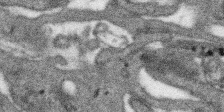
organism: Human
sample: Lung epithelial cells infected with SARS-CoV-2